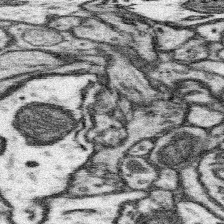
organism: Mouse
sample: Somatosensory cortex neuropil